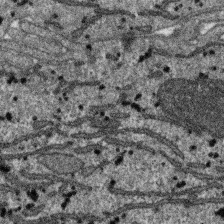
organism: Human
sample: Lung epithelial cells infected with SARS-CoV-2